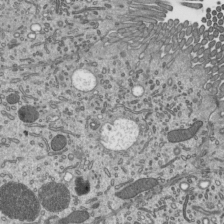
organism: Mouse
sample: Mouse epididymis efferent ductule cilia